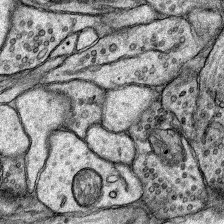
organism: Rat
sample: Hippocampus